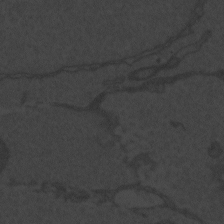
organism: Zebrafish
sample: Macrophage infected with Toxoplasma gondii